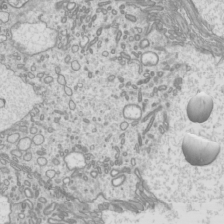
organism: Mouse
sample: Cilia; mouse epididymis